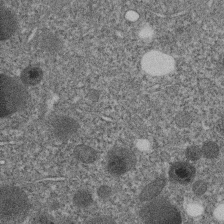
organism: C. elegans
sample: C. elegans embryo early stage